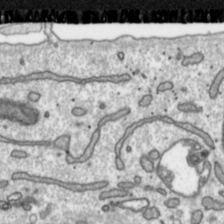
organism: Toxoplasma gondii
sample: Parasites in a vacuole inside a host cell